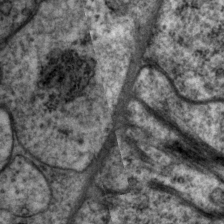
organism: P. pacificus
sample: Pharynx